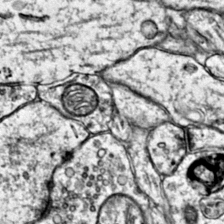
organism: Mouse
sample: Primary visual cortex